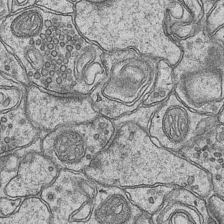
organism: Mouse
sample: CA1 Hippocampus